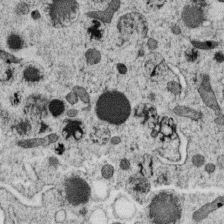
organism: C. elegans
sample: C. elegans oocyte; sperm cells